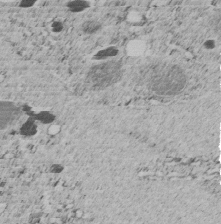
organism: C. elegans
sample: C. elegans embryo early stage